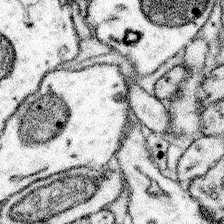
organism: Mouse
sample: Somatosensory cortex neuropil